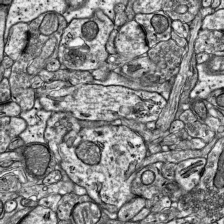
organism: Mouse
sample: Visual Cortex